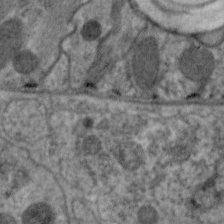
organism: C. elegans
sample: Pharynx